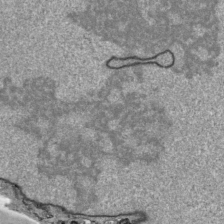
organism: Human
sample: Mitochondria in HCT116 cells